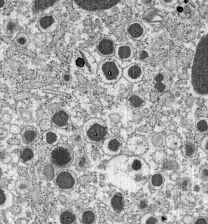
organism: C57BL Mouse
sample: Pancreatic islet